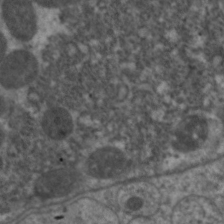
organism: C. elegans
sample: Pharynx